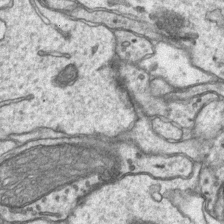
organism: Mouse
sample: CA1 Hippocampus